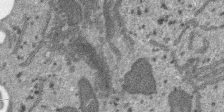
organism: Human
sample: Lung epithelial cells infected with SARS-CoV-2